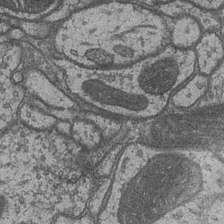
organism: Drosophila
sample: Optic medulla